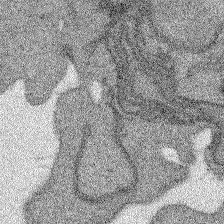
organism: Human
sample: HeLa cells